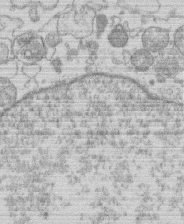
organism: Human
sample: Macrophage cells